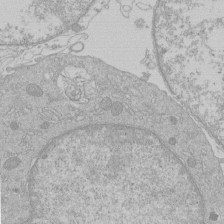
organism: Human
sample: Macrophage cells